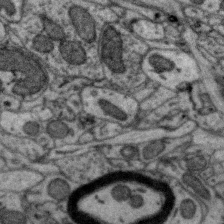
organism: Zebra finch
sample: Brain